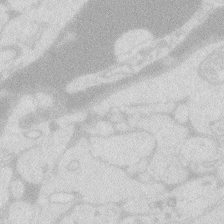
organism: Zebrafish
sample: Macrophage